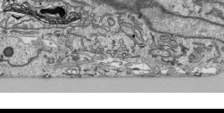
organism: Human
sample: Mitochondria in HCT116 cells